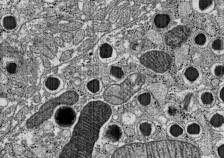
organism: C57BL Mouse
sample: Pancreatic islet